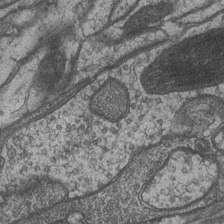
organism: Drosophila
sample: Optic medulla